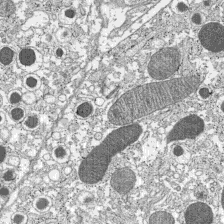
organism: C57BL Mouse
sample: Pancreatic islet